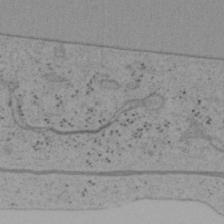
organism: Human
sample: HeLa cells